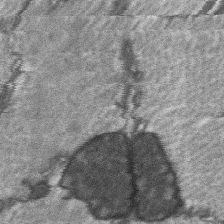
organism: C57BL Mouse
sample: Soleus